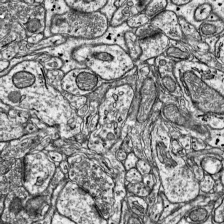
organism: Mouse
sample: Visual Cortex